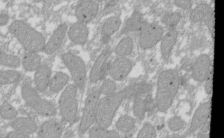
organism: Xenopus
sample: Cilia; centrioles in frog embryo cells